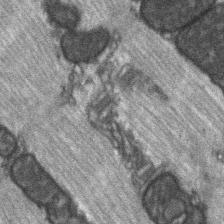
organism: C57BL Mouse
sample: Soleus